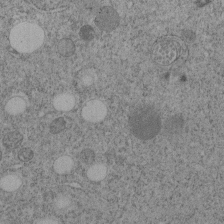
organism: C. elegans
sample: C. elegans embryo early stage